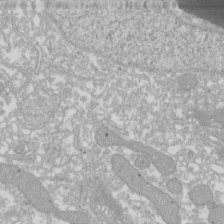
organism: Xenopus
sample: Cilia; centrioles in frog embryo cells